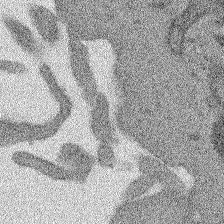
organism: Human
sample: HeLa cells